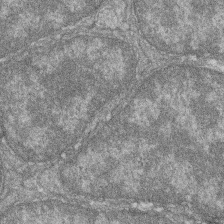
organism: Zebrafish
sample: Cilia; retinal pigment epithelium